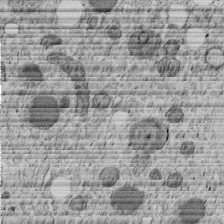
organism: C. elegans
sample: C. elegans embryo early stage